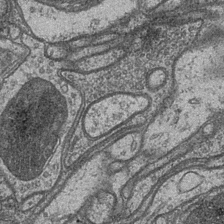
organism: Drosophila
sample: Optic medulla